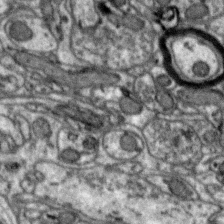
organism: Zebra finch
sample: Brain